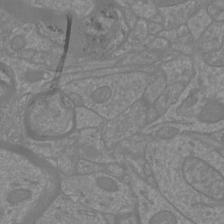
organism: Mouse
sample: Cortical neurons